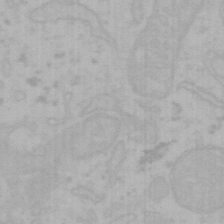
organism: Mouse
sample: Choroid plexus